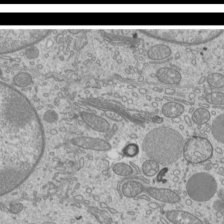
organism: Mouse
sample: Cilia; mouse epididymis